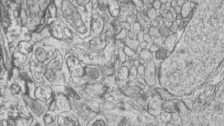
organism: Zebrafish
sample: synaptic ribbons in rod cells and cone cells